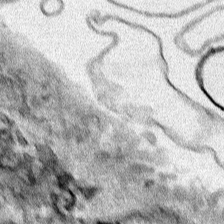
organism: Human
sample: Mitochondria in HCT116 cells